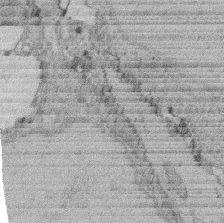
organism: Rat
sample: Salivary granule